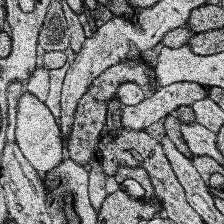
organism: Human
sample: Temporal Lobe